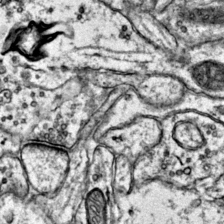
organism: Mouse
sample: Primary visual cortex